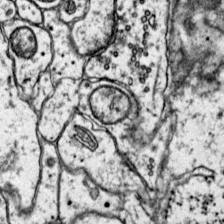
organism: Mouse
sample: Primary visual cortex